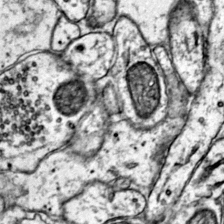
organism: Mouse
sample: Primary visual cortex